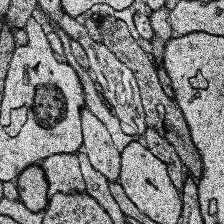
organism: Human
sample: Temporal Lobe